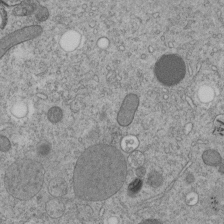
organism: C. elegans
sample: C. elegans embryo early stage